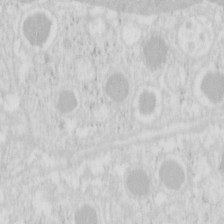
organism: Mouse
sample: Pancreas